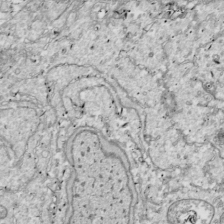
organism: Drosophila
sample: Cell division; meiosis; drosophila spermatocytes